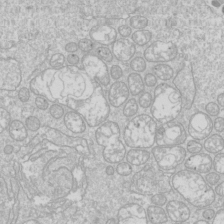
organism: Drosophila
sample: Cell division; meiosis; drosophila spermatocytes